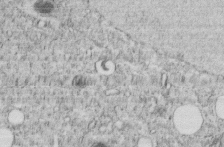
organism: C. elegans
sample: C. elegans embryo early stage